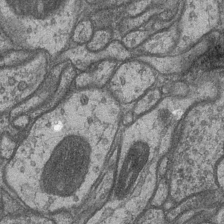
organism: Drosophila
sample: Optic medulla